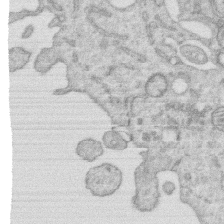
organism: Human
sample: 1205lu cells